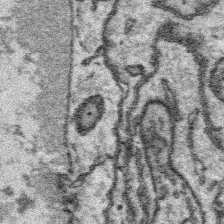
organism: Platynereis dumerilii